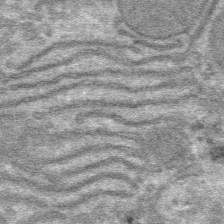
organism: Mouse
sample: Mouse hepatocytes